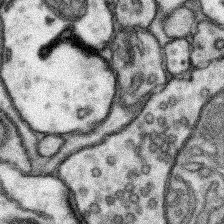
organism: Mouse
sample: Somatosensory cortex neuropil